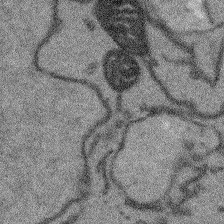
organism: Arabidopsis thaliana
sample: Root tip